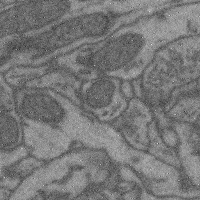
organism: Mouse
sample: Cerebral cortex